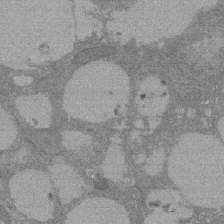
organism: Rat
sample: Salivary granule